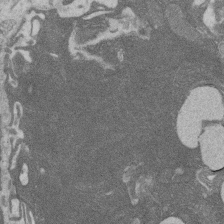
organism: Rat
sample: Salivary granule